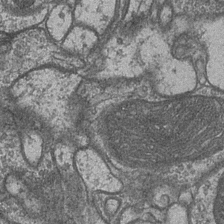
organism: Drosophila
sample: Optic medulla